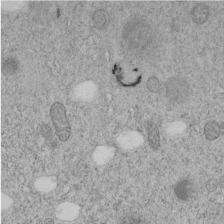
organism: C. elegans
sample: C. elegans embryo early stage